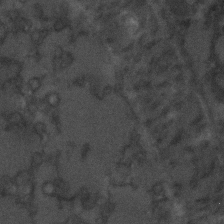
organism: C. elegans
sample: C. elegans embryo